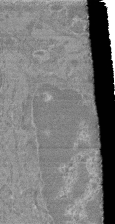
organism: Mouse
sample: Glomerulus